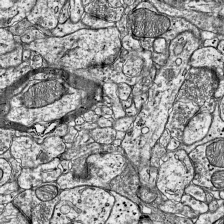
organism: Mouse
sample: Visual Cortex